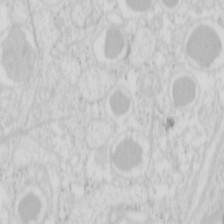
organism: Mouse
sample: Pancreas